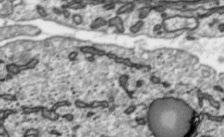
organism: Toxoplasma gondii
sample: Parasites in a vacuole inside a host cell